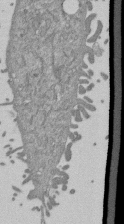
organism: Mouse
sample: ED-1 cell nuclei; centrioles